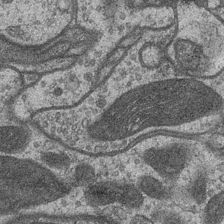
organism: Drosophila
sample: Optic medulla